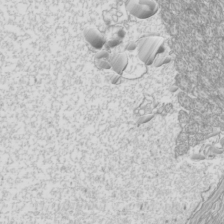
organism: Mouse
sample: Cilia; mouse epididymis